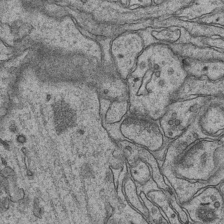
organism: Mouse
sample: CA1 Hippocampus